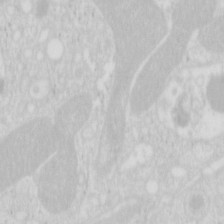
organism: Mouse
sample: Pancreas